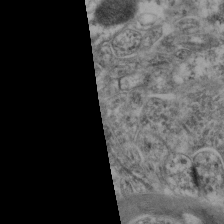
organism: Mouse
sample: Neocortex